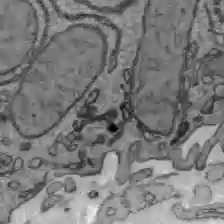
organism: C57BL Mouse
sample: Liver